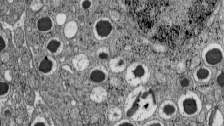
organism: C57BL Mouse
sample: Pancreatic islet